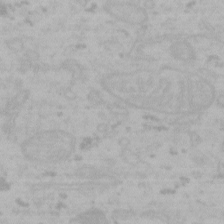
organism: Mouse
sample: Choroid plexus